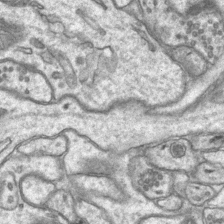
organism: Mouse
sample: CA1 Hippocampus